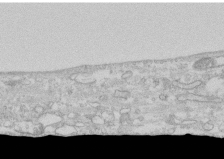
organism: Human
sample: CRL-1474